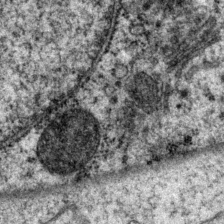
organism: P. pacificus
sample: Pharynx